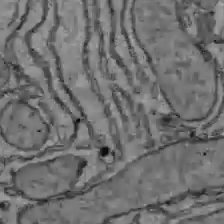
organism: C57BL Mouse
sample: Liver